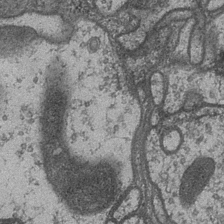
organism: Drosophila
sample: Optic medulla